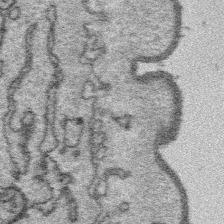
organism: Platynereis dumerilii